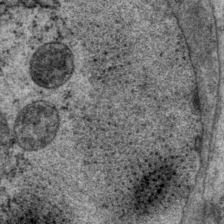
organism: P. pacificus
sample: Pharynx